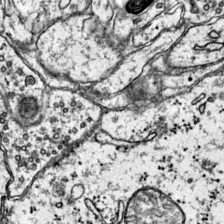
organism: Mouse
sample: Primary visual cortex